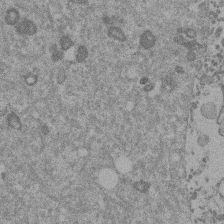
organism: Mouse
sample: Dividing mouse embryo 1 cell stage